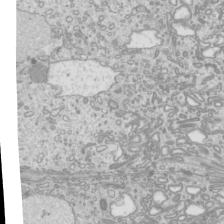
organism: Mouse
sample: Cilia; mouse epididymis